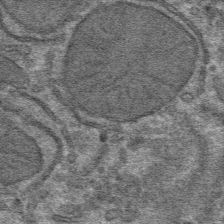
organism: Mouse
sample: Mouse hepatocytes